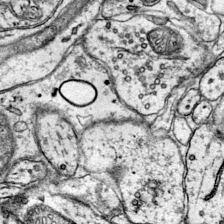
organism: Mouse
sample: Primary visual cortex